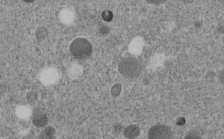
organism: C. elegans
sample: C. elegans embryo early stage